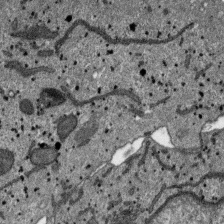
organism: Human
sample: Lung epithelial cells, uninfected (mock) control